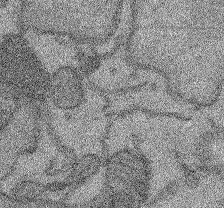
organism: Human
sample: HeLa cells